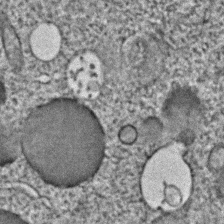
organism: C. elegans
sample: C. elegans embryo